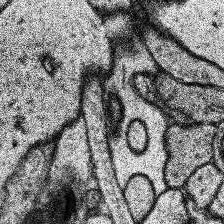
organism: Human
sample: Temporal Lobe